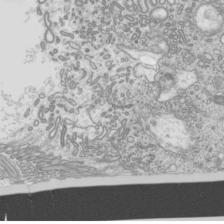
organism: Mouse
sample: Cilia; mouse epididymis